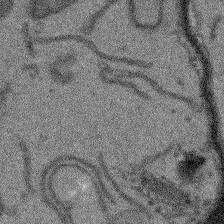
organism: Arabidopsis thaliana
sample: Root tip